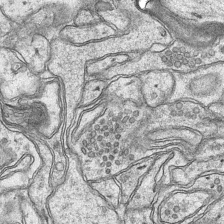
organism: Mouse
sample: CA1 Hippocampus